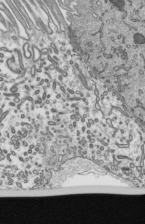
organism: Mouse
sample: Mouse epididymis efferent ductule cilia